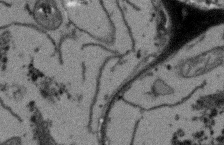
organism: Arabidopsis thaliana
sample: Root tip